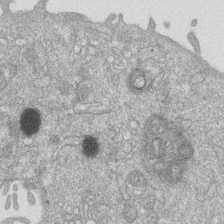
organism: Human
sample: HeLa cell HIV synapse